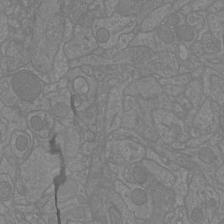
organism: Mouse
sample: Cortical neurons